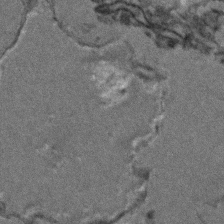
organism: Zebrafish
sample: Zebrafish embryo